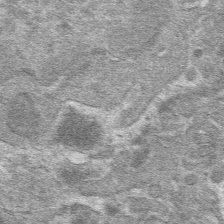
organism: Mouse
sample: Mouse hepatocytes